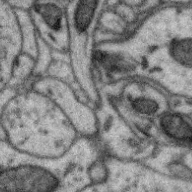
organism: Zebra finch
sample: Brain